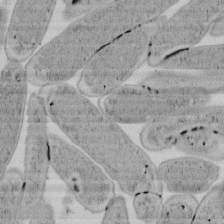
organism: E. coli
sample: Bacterial nucleoid